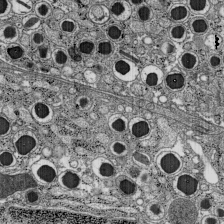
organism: C57BL Mouse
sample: Pancreatic islet